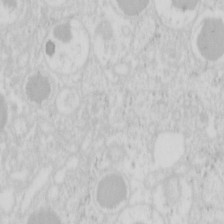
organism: Mouse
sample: Pancreas